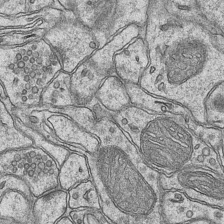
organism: Mouse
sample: CA1 Hippocampus